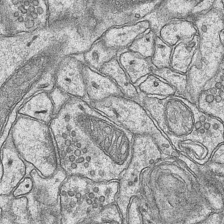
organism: Mouse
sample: CA1 Hippocampus